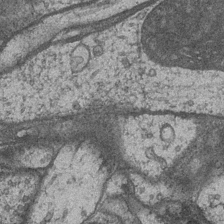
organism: Drosophila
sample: Optic medulla